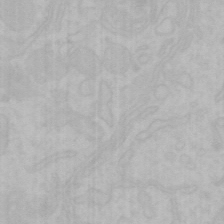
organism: Mouse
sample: Choroid plexus